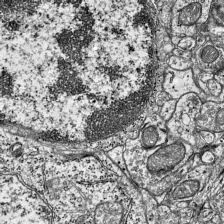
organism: Mouse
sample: Visual Cortex